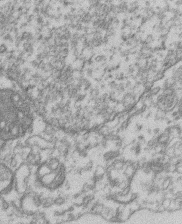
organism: Mouse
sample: T cell stromal cell synapse